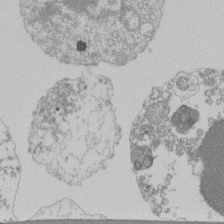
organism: Mouse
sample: Activated Pmel transgenic CD8+ T Cells